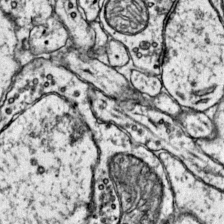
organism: Mouse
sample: Primary visual cortex